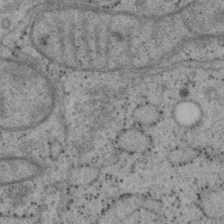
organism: Human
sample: HeLa cells